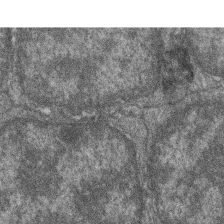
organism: Zebrafish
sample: Cilia; retinal pigment epithelium